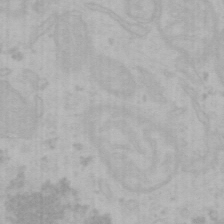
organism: Mouse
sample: Choroid plexus